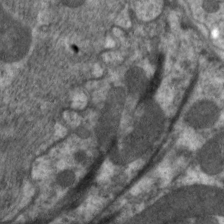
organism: C. elegans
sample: Pharynx